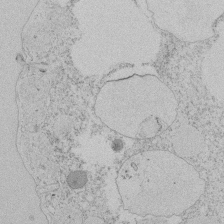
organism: Tetrahymena